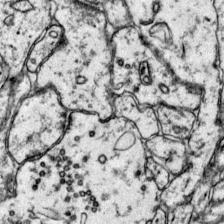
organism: Mouse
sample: Primary visual cortex